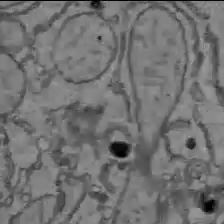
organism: C57BL Mouse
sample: Liver